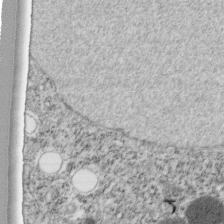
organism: C. elegans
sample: C. elegans embryo early stage